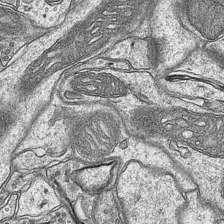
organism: Mouse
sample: CA1 Hippocampus